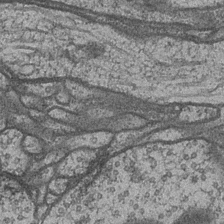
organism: Drosophila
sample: Optic medulla